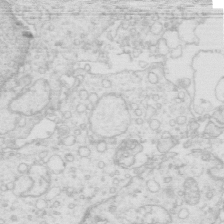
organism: Mouse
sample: Multiciliated cells